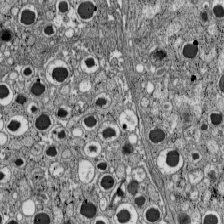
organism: C57BL Mouse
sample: Pancreatic islet